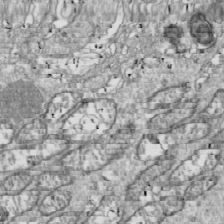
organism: Drosophila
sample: Cell division; meiosis; drosophila spermatocytes